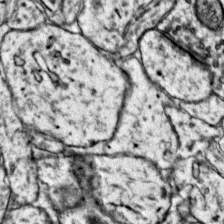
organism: Mouse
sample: Primary visual cortex